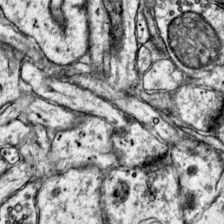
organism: Mouse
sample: Primary visual cortex